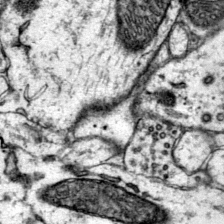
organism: Mouse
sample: Primary visual cortex